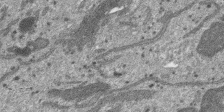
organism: Human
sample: Lung epithelial cells infected with SARS-CoV-2